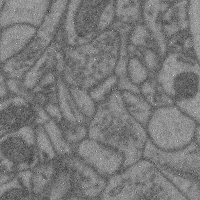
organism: Mouse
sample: Cerebral cortex